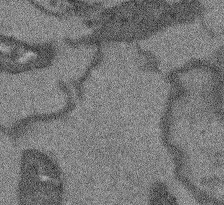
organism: Arabidopsis thaliana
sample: Root tip